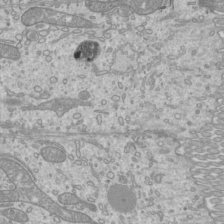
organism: Mouse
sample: Cilia; mouse epididymis